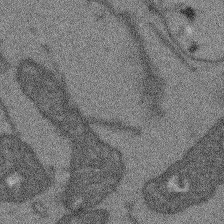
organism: Arabidopsis thaliana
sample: Root tip